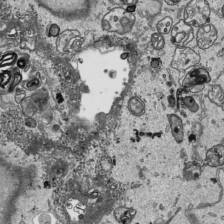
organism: Human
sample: Mitochondria in HCT116 cells